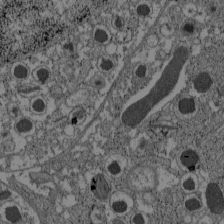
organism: C57BL Mouse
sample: Pancreatic islet